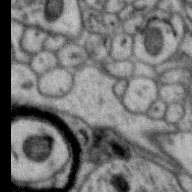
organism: Zebra finch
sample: Brain